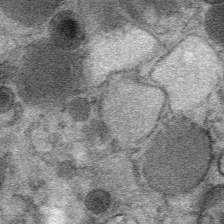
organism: Mouse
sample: Mouse Salivary gland